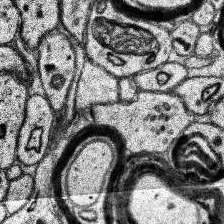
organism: Human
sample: Temporal Lobe